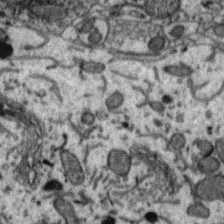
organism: Zebra finch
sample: Brain